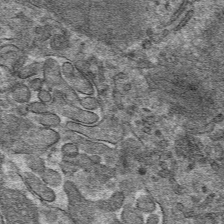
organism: Mouse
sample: Mouse hepatocytes